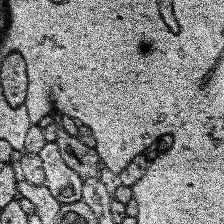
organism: Human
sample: Temporal Lobe